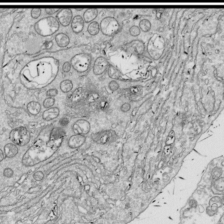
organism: Drosophila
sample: Cell division; meiosis; drosophila spermatocytes